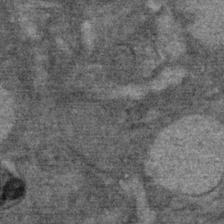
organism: Mouse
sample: Mouse Salivary gland